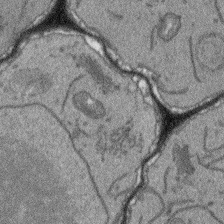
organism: Arabidopsis thaliana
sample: Root tip